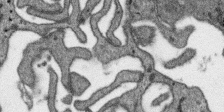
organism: Human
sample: Lung epithelial cells, uninfected (mock) control